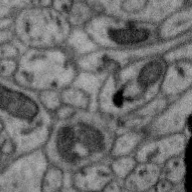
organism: Zebra finch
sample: Brain